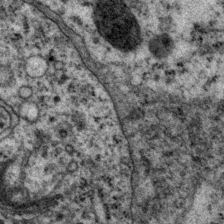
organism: P. pacificus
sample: Pharynx